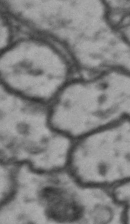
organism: Drosophila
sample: Brain